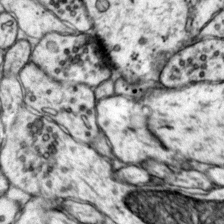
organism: Mouse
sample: Primary visual cortex